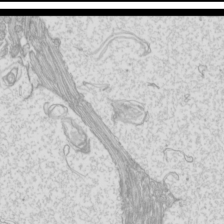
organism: Mouse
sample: Cilia; mouse epididymis